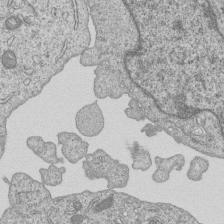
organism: Human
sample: MDA-MB-231 cells